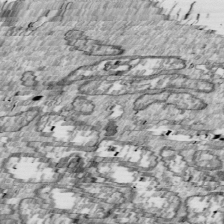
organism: Drosophila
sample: Cell division; meiosis; drosophila spermatocytes